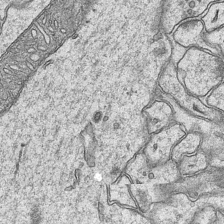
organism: Mouse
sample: CA1 Hippocampus